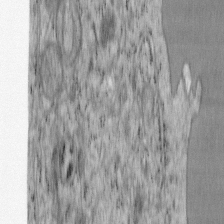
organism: Human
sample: HeLa cells